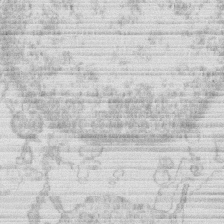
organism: Human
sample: Macrophage cells